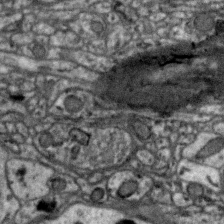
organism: Zebra finch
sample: Brain